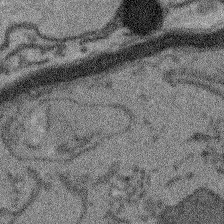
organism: Arabidopsis thaliana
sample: Root tip